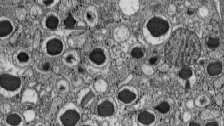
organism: C57BL Mouse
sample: Pancreatic islet